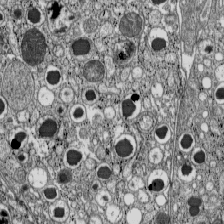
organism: C57BL Mouse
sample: Pancreatic islet